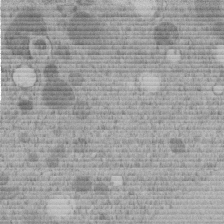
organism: C. elegans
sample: C. elegans embryo early stage